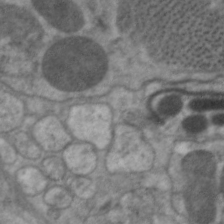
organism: C. elegans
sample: Pharynx